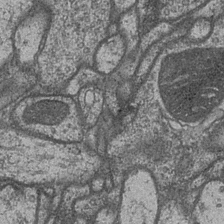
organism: Drosophila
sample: Optic medulla